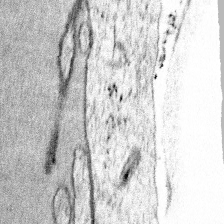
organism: Human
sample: HeLa cells